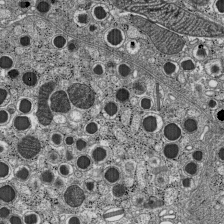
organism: C57BL Mouse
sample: Pancreatic islet